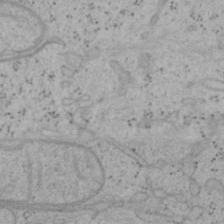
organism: Human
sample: HeLa cells